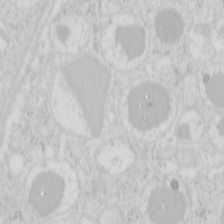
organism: Mouse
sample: Pancreas